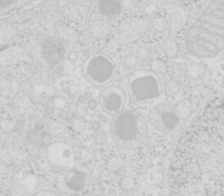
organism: Mouse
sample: Pancreas